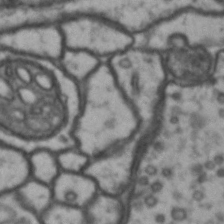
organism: Drosophila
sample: Brain